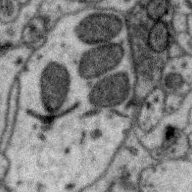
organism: Zebra finch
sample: Brain